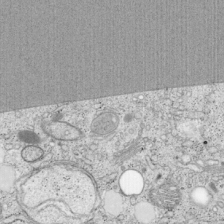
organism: African green monkey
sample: COS-7 cells